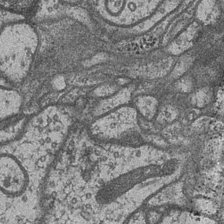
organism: Drosophila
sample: Optic medulla